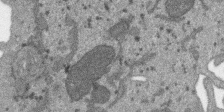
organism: Human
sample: Lung epithelial cells infected with SARS-CoV-2